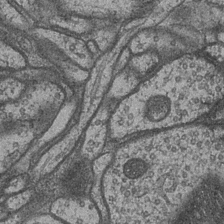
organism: Drosophila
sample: Optic medulla